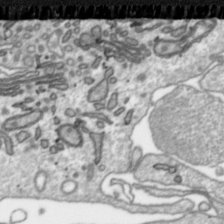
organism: Toxoplasma gondii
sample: Parasites in a vacuole inside a host cell